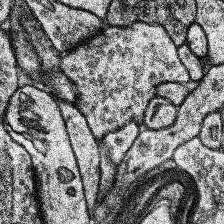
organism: Human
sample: Temporal Lobe